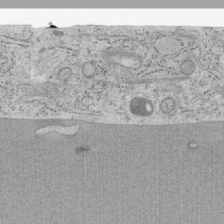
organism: Human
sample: HeLa cells